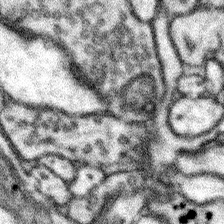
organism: Mouse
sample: Somatosensory cortex neuropil